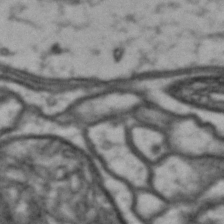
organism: Drosophila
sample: Brain